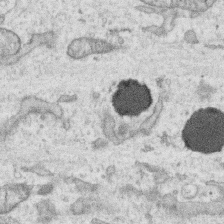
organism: Human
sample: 1205lu cells